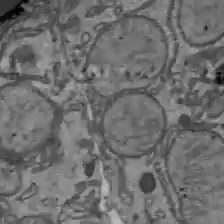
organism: C57BL Mouse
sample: Liver